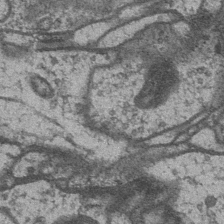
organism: Drosophila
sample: Optic medulla